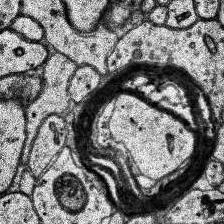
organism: Human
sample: Temporal Lobe